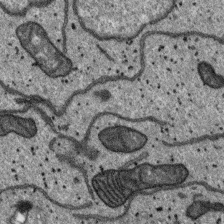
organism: Human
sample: Lung epithelial cells, uninfected (mock) control